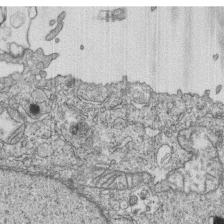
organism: Human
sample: HeLa cell HIV synapse